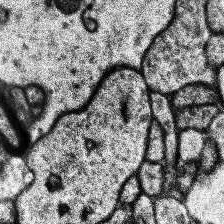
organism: Human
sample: Temporal Lobe